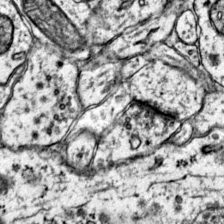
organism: Mouse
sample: Primary visual cortex